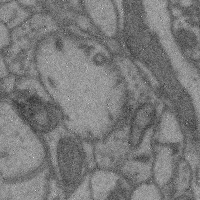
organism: Mouse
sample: Cerebral cortex